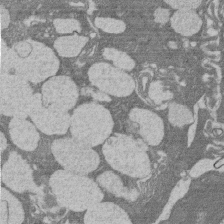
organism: Rat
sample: Salivary granule